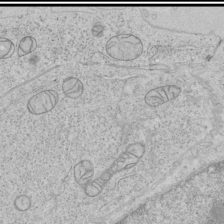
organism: Human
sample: Mitochondria in HCT116 cells